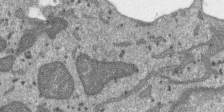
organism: Human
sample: Lung epithelial cells infected with SARS-CoV-2